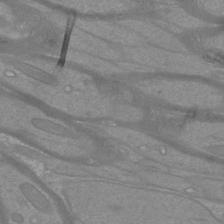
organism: Mouse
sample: Cortical neurons